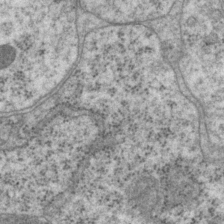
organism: P. pacificus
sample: Pharynx